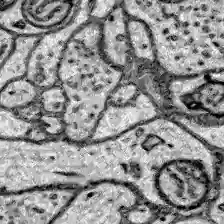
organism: Zebrafish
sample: Brain